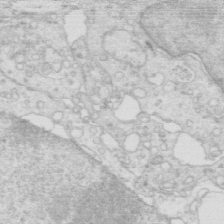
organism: Mouse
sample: Multiciliated cells